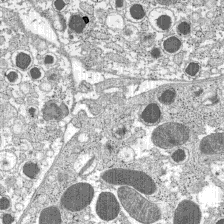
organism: C57BL Mouse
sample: Pancreatic islet